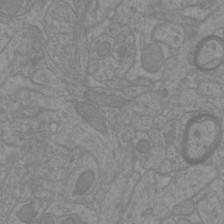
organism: Mouse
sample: Cortical neurons